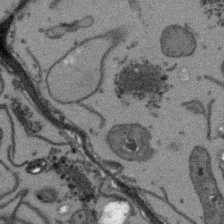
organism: Arabidopsis thaliana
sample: Root tip